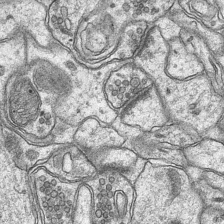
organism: Mouse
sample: CA1 Hippocampus